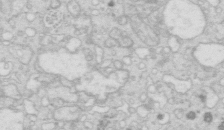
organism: Mouse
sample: Multiciliated cells